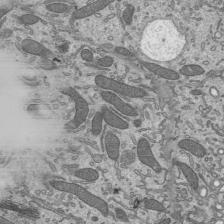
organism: Mouse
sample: Mouse epididymis efferent ductule cilia